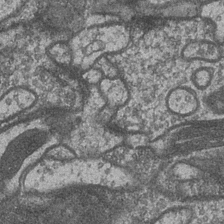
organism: Drosophila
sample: Optic medulla